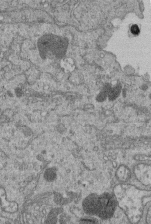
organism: Human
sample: Retinal organoid Rod and Cone cells